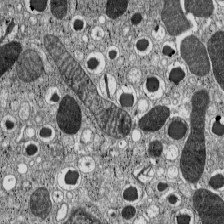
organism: C57BL Mouse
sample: Pancreatic islet